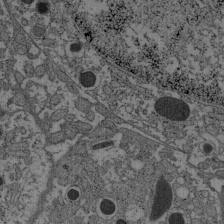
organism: C57BL Mouse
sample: Pancreatic islet